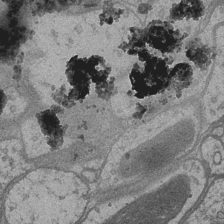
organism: Drosophila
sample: Optic medulla